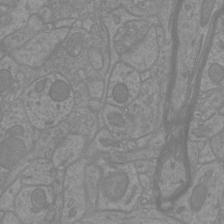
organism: Mouse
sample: Cortical neurons